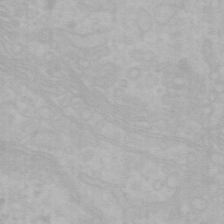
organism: Mouse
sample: Choroid plexus